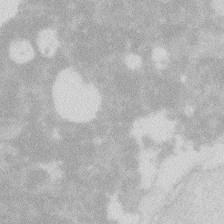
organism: Zebrafish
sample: Macrophage